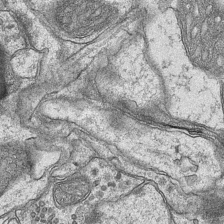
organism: Mouse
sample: CA1 Hippocampus